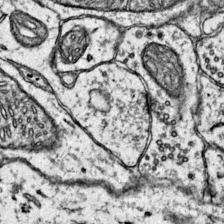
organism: Mouse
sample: Primary visual cortex